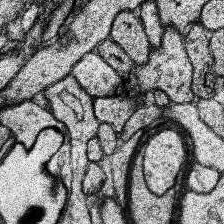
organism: Human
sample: Temporal Lobe